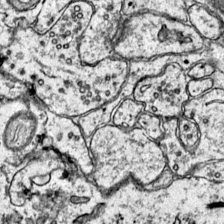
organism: Mouse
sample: Primary visual cortex